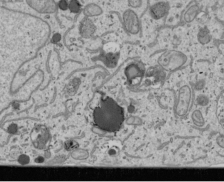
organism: Human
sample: Mitochondria in U2OS cells